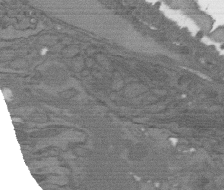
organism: C. elegans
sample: AFD neurons C. elegans